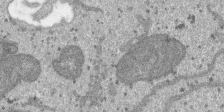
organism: Human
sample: Lung epithelial cells infected with SARS-CoV-2